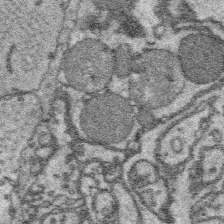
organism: Platynereis dumerilii